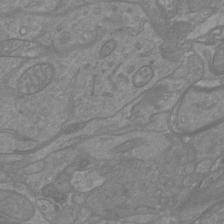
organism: Mouse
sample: Cortical neurons